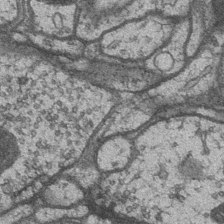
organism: Drosophila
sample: Optic medulla